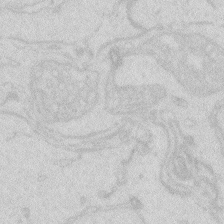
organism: Zebrafish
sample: Macrophage